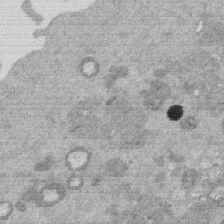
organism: Mouse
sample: Dividing mouse embryo 1 cell stage